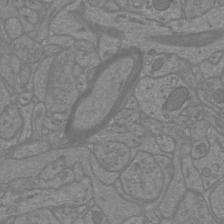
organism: Mouse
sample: Cortical neurons